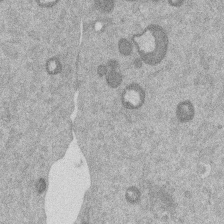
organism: Mouse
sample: Dividing mouse embryo 1 cell stage